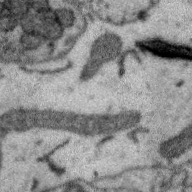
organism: Zebra finch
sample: Brain